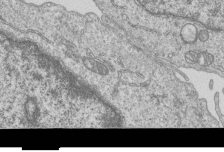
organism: Human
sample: MDA-MB-231 cells